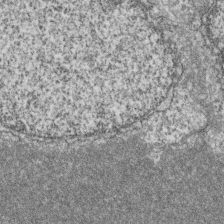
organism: Zebrafish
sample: Cilia; retinal pigment epithelium